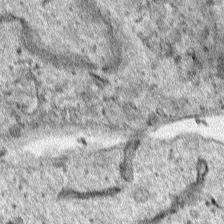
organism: Human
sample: Mitochondria in HCT116 cells